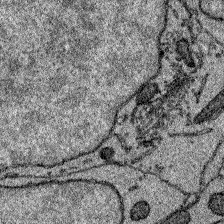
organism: Zebrafish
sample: Larval olfactory bulb